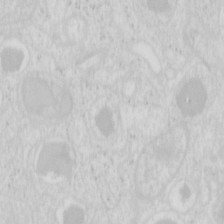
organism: Mouse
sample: Pancreas